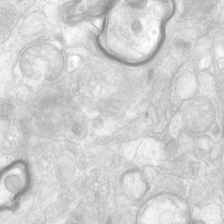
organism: Human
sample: Neocortex